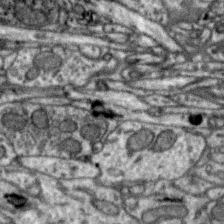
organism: Zebra finch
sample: Brain